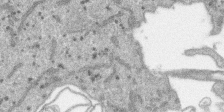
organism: Human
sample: Lung epithelial cells infected with SARS-CoV-2